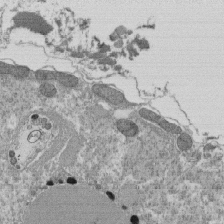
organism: Tetrahymena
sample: Cilia in tetrahymena